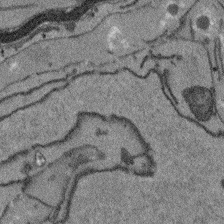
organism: Arabidopsis thaliana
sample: Root tip